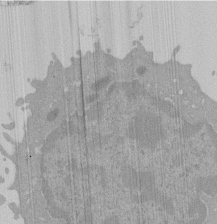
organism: Mouse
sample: Activated Pmel transgenic CD8+ T Cells